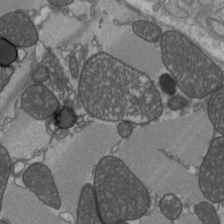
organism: C57BL Mouse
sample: Heart